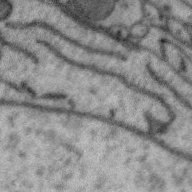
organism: Zebra finch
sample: Brain